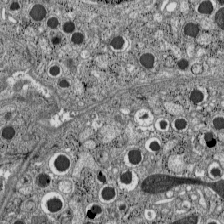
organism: C57BL Mouse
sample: Pancreatic islet